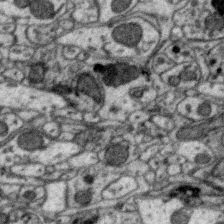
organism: Zebra finch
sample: Brain